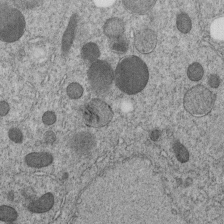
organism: C. elegans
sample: C. elegans embryo early stage